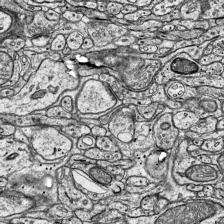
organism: Mouse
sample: Visual Cortex